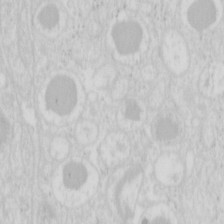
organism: Mouse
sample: Pancreas